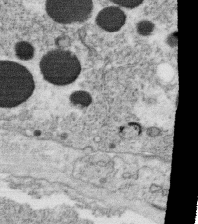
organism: C. elegans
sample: C. elegans oocyte; sperm cells